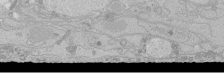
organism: Human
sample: Caco-2 cells